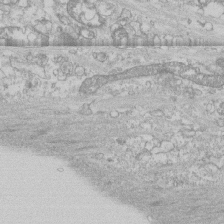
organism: Human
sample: CRL-1474